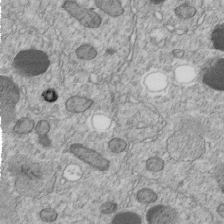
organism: C. elegans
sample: C. elegans embryo early stage